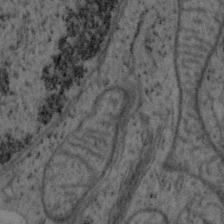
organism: Human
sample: HeLa cells